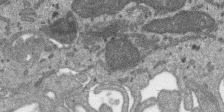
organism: Human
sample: Lung epithelial cells infected with SARS-CoV-2